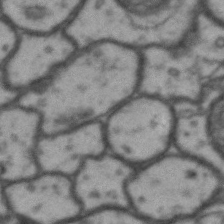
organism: Drosophila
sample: Brain